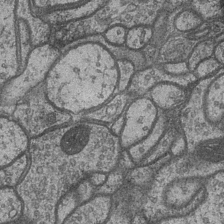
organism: Drosophila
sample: Optic medulla